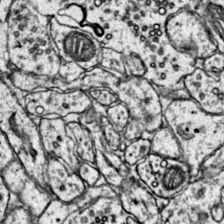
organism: Mouse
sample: Primary visual cortex